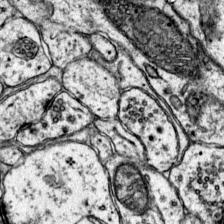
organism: Mouse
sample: Primary visual cortex